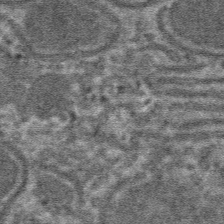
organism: Mouse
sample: Mouse hepatocytes